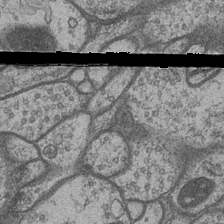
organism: Drosophila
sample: Optic medulla